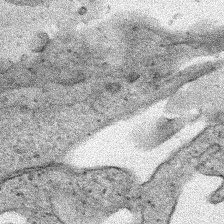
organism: Human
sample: Mitochondria in HCT116 cells